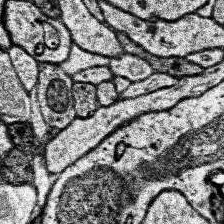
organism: Human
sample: Temporal Lobe